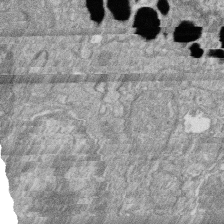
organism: Zebrafish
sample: Cilia; retinal pigment epithelium